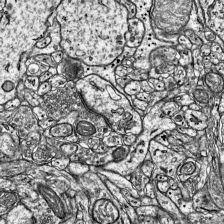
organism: Mouse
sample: Visual Cortex